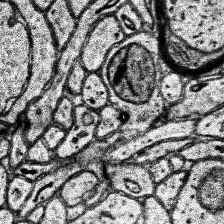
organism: Human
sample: Temporal Lobe